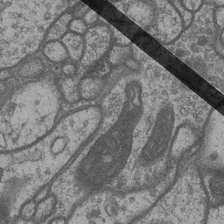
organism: Drosophila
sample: Optic medulla